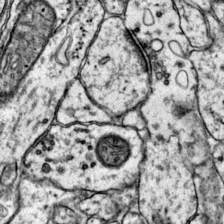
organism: Mouse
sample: Primary visual cortex